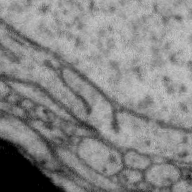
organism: Zebra finch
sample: Brain